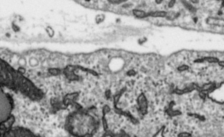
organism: Toxoplasma gondii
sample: Parasites in a vacuole inside a host cell